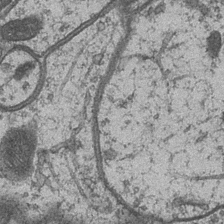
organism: Drosophila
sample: Optic medulla